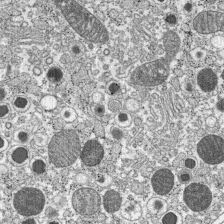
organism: C57BL Mouse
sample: Pancreatic islet